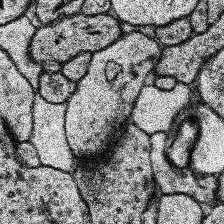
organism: Human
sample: Temporal Lobe